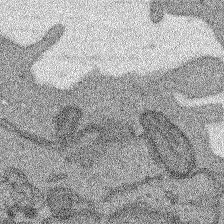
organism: Human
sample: HeLa cells